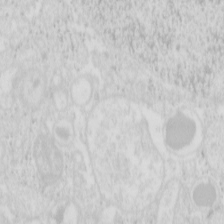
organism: Mouse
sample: Pancreas